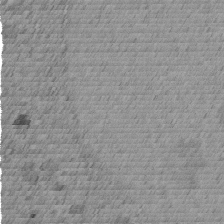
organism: C. elegans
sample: C. elegans embryo early stage